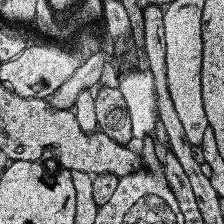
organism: Human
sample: Temporal Lobe